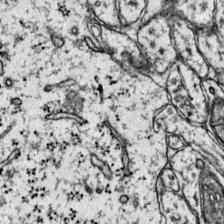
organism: Mouse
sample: Primary visual cortex